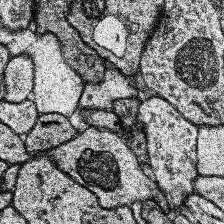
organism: Human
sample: Temporal Lobe